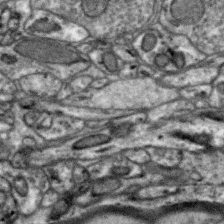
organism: Zebra finch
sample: Brain